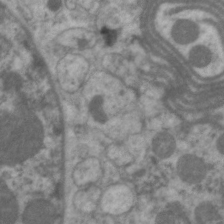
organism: C. elegans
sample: Pharynx